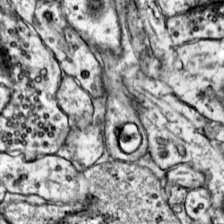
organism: Mouse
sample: Primary visual cortex